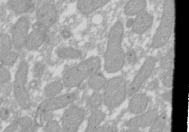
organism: Xenopus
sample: Cilia; centrioles in frog embryo cells